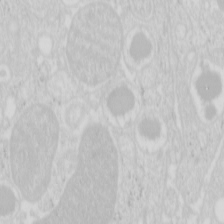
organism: Mouse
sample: Pancreas